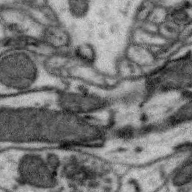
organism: Zebra finch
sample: Brain